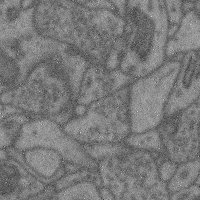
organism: Mouse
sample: Cerebral cortex